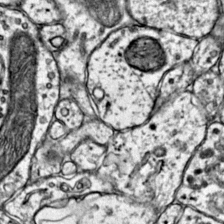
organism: Mouse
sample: Primary visual cortex